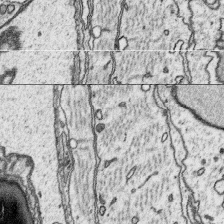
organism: Platynereis dumerilii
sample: Parapodia